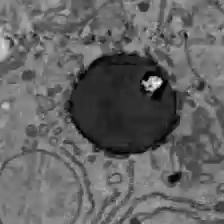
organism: C57BL Mouse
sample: Liver